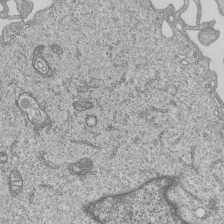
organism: Human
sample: MDA-MB-231 cells